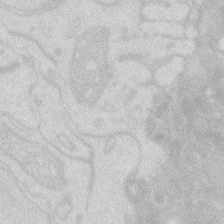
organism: Zebrafish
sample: Macrophage